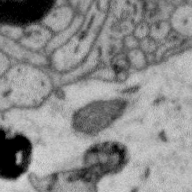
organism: Zebra finch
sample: Brain